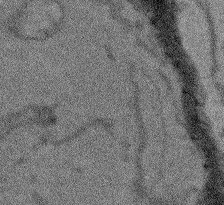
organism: Arabidopsis thaliana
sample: Root tip